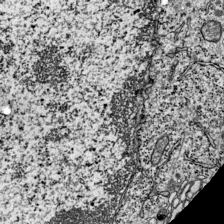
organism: Mouse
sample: Visual Cortex